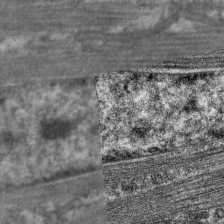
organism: C. elegans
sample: Pharynx